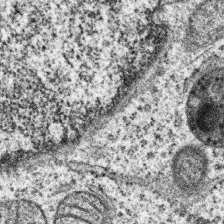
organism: Human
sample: HeLa cells